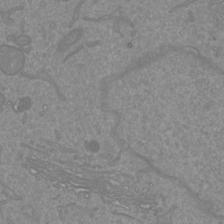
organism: Mouse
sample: Cortical neurons